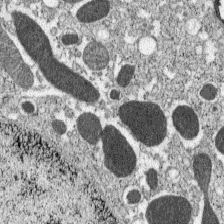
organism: C57BL Mouse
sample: Pancreatic islet